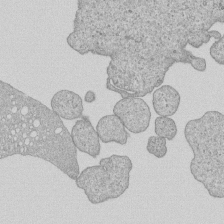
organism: Human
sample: MDA-MB-231 cells